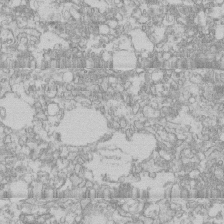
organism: Human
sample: CRL-1474